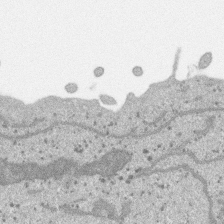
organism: Human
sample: Lung epithelial cells infected with SARS-CoV-2